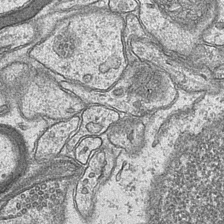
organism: Mouse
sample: CA1 Hippocampus